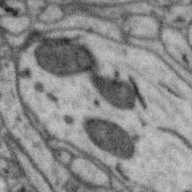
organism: Zebra finch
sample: Brain